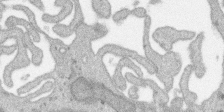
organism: Human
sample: Lung epithelial cells infected with SARS-CoV-2